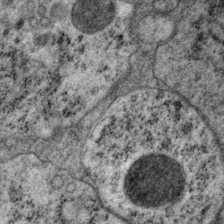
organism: P. pacificus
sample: Pharynx